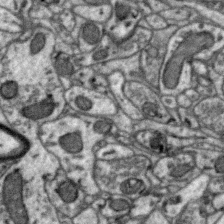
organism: Zebra finch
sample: Brain